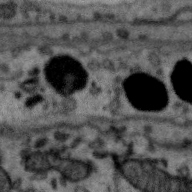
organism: Zebra finch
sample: Brain